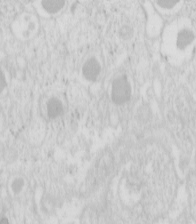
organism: Mouse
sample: Pancreas